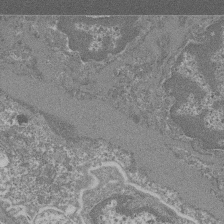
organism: Mouse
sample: Glomerulus